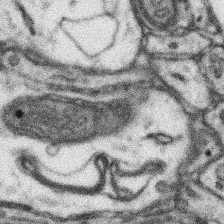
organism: Mouse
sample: Somatosensory cortex neuropil